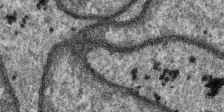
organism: Human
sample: Lung epithelial cells infected with SARS-CoV-2